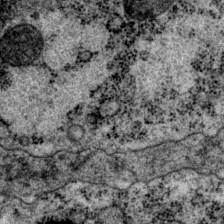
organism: P. pacificus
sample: Pharynx